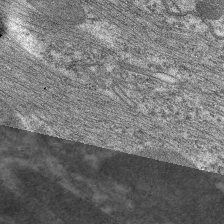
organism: C. elegans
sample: Pharynx